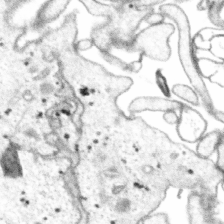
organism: Human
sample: HeLa cells